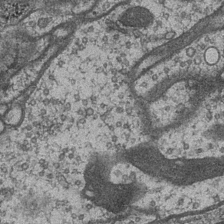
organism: Drosophila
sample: Optic medulla